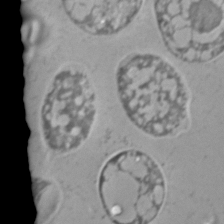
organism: C. elegans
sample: C. elegans embryo